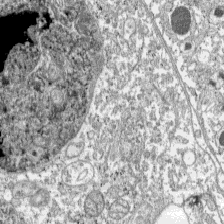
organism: C57BL Mouse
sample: Pancreatic islet